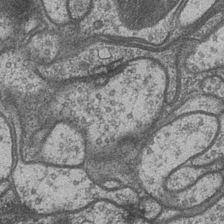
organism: Drosophila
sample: Optic medulla